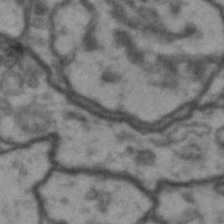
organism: Drosophila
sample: Brain